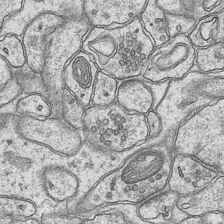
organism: Mouse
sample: CA1 Hippocampus